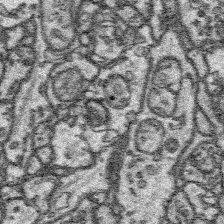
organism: Platynereis dumerilii